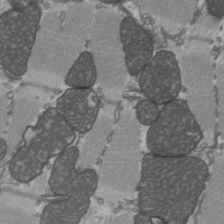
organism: C57BL Mouse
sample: Heart